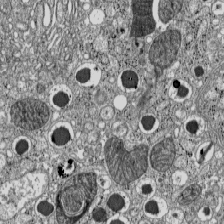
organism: C57BL Mouse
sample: Pancreatic islet